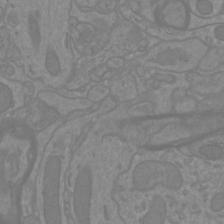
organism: Mouse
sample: Cortical neurons